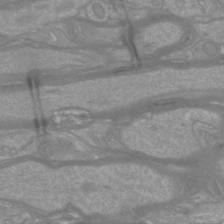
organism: Mouse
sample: Cortical neurons